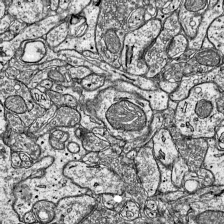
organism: Mouse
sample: Visual Cortex